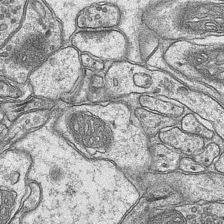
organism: Mouse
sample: CA1 Hippocampus